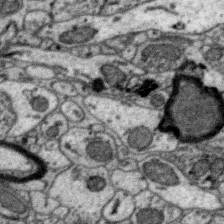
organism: Zebra finch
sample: Brain